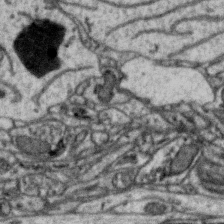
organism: Zebra finch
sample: Brain